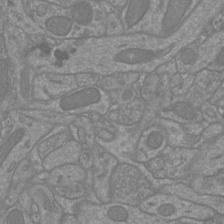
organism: Mouse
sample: Cortical neurons